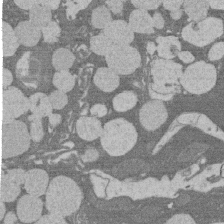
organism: Rat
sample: Salivary granule